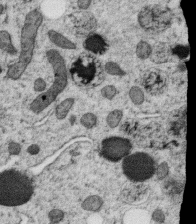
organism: C. elegans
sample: C. elegans oocyte; sperm cells